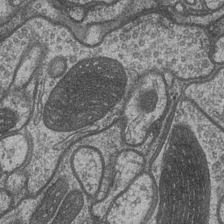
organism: Drosophila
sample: Optic medulla